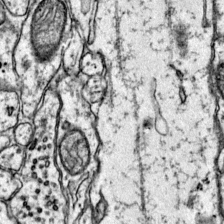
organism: Mouse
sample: Primary visual cortex